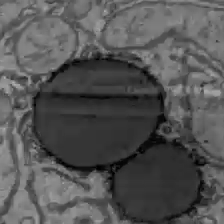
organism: C57BL Mouse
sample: Liver